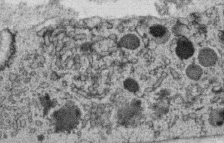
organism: C. elegans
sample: C. elegans oocyte; sperm cells